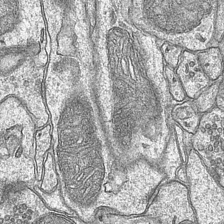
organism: Mouse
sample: CA1 Hippocampus